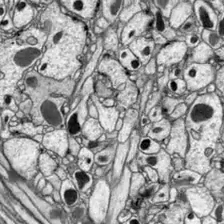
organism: Drosophila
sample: Optic lobe